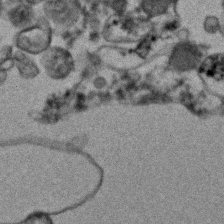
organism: Human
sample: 1205lu cells